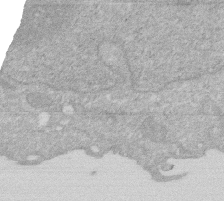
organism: Human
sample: HIV infected U937 cells